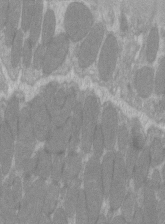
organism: C57BL Mouse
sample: Tibialis anterior muscle cell